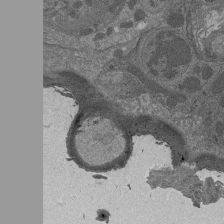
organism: Drosophila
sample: Antenna